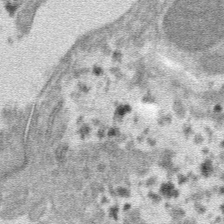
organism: Mouse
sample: Mouse hepatocytes